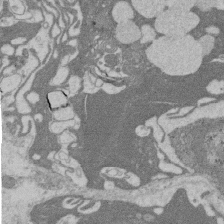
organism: Rat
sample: Salivary granule